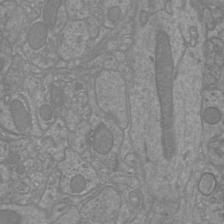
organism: Mouse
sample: Cortical neurons